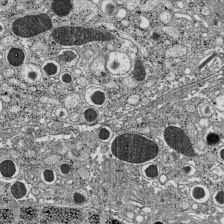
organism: C57BL Mouse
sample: Pancreatic islet